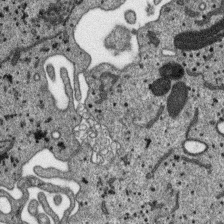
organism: Human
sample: Lung epithelial cells infected with SARS-CoV-2